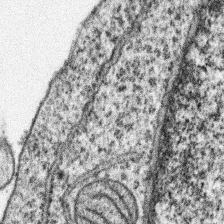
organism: Human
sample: HeLa cells